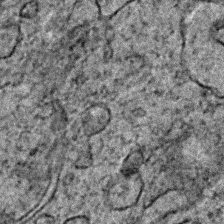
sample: Trachea